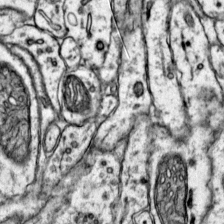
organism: Mouse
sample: Primary visual cortex